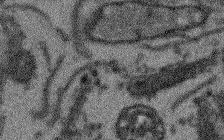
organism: Arabidopsis thaliana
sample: Root tip